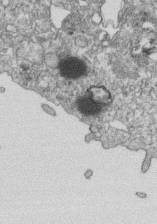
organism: Human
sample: HeLa cell HIV synapse